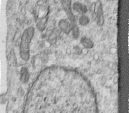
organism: Human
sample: Centriole in RPE cells